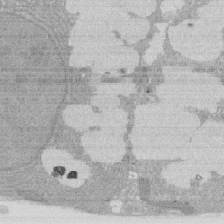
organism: Rat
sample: Salivary granule